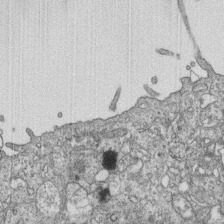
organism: Human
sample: HeLa cell HIV synapse